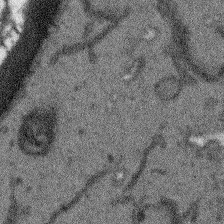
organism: Arabidopsis thaliana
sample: Root tip